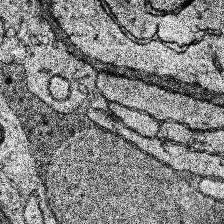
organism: Human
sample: Temporal Lobe